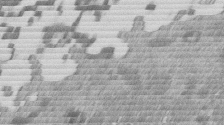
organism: Mouse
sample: Dividing mouse embryo 1 cell stage